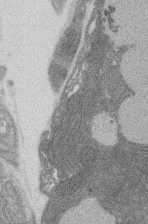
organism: Rat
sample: Salivary granule